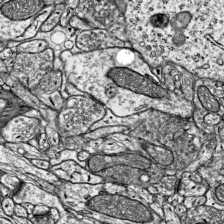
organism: Mouse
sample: Visual Cortex